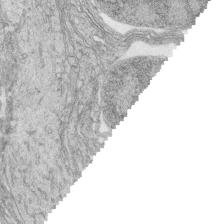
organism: Zebrafish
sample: synaptic ribbons in rod cells and cone cells